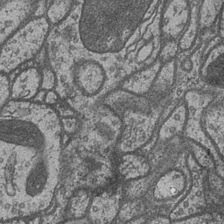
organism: Drosophila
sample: Optic medulla